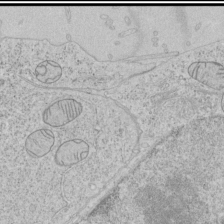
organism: Human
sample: Mitochondria in HCT116 cells